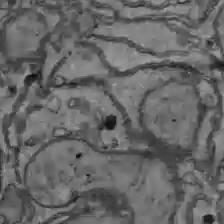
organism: C57BL Mouse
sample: Liver